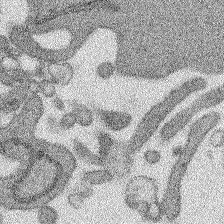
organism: Human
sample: HeLa cells